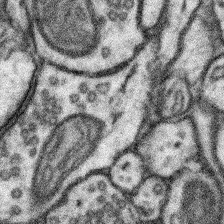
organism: Mouse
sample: Somatosensory cortex neuropil